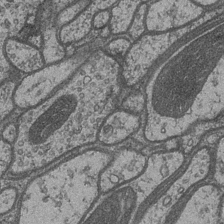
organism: Drosophila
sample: Optic medulla